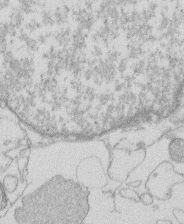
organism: Human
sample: Macrophage cells